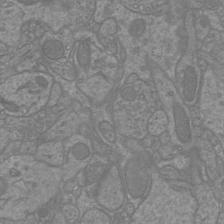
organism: Mouse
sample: Cortical neurons